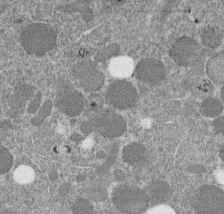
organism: C. elegans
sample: C. elegans embryo early stage